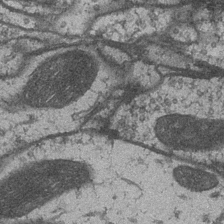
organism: Drosophila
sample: Optic medulla